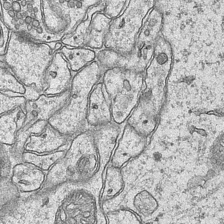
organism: Mouse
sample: CA1 Hippocampus